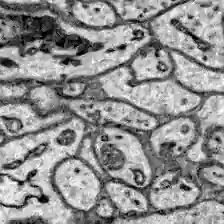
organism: Zebrafish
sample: Brain